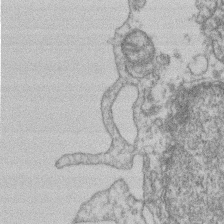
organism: Mouse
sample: T cell stromal cell synapse